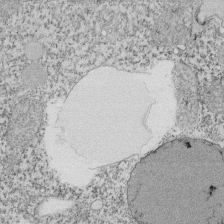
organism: Tetrahymena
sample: Cilia in tetrahymena